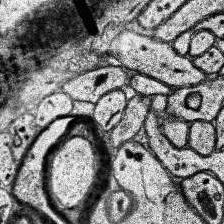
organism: Human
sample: Temporal Lobe